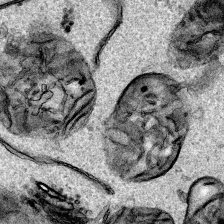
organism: Human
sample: Mitochondria in HCT116 cells